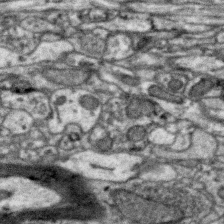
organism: Zebra finch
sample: Brain